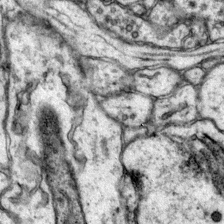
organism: Mouse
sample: Primary visual cortex